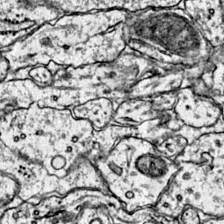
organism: Mouse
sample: Primary visual cortex